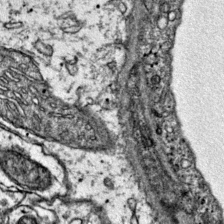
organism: Mouse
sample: Primary visual cortex